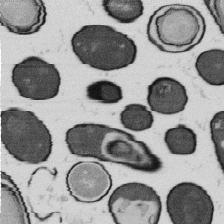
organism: B. subtilis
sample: Bacterial spore